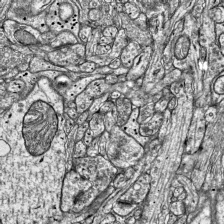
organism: Mouse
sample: Visual Cortex